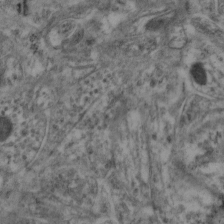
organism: Mouse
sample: Neocortex